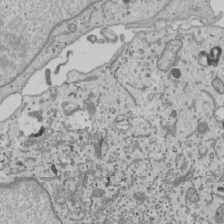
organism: Human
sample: Mitochondria in U2OS cells